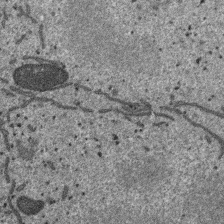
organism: Human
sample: Lung epithelial cells infected with SARS-CoV-2